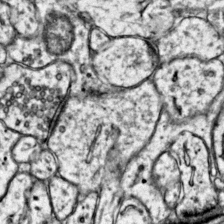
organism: Mouse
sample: Primary visual cortex